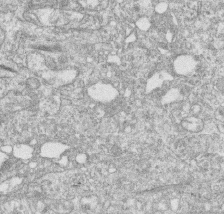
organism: Human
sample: HeLa cell HIV synapse